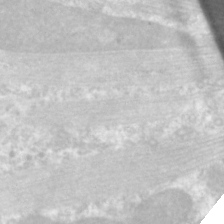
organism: C. elegans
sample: Pharynx